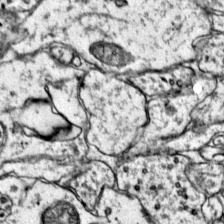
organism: Mouse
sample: Primary visual cortex